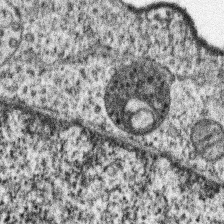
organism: Human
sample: HeLa cells